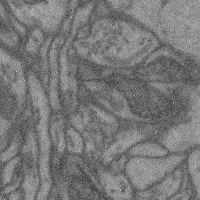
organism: Mouse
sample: Cerebral cortex